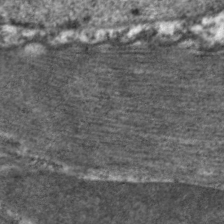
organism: C. elegans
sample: Pharynx